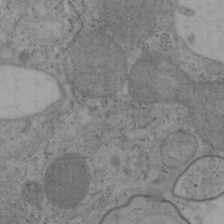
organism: Mouse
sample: OT-I killer T cells with ID8 ovarian cancer cells